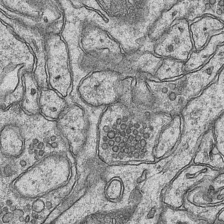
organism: Mouse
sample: CA1 Hippocampus